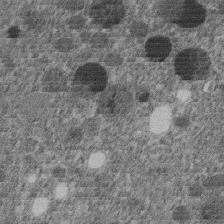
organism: C. elegans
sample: C. elegans embryo early stage